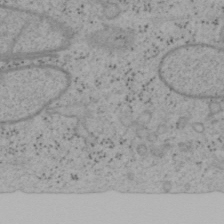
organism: Human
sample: HeLa cells